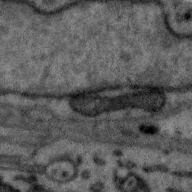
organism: Zebra finch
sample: Brain